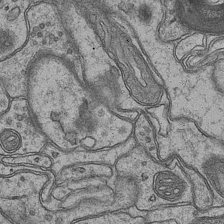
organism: Mouse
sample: CA1 Hippocampus